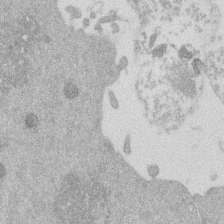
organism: Mouse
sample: Dividing mouse embryo 1 cell stage